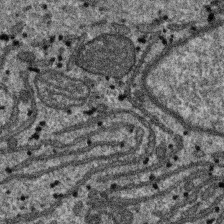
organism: Human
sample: Lung epithelial cells infected with SARS-CoV-2